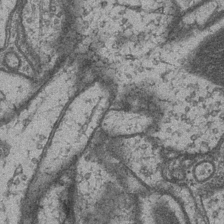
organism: Drosophila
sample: Optic medulla